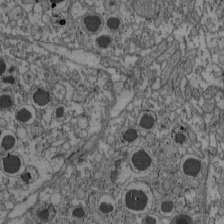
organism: C57BL Mouse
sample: Pancreatic islet